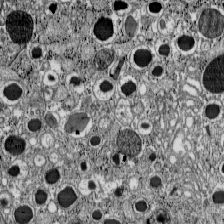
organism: C57BL Mouse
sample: Pancreatic islet